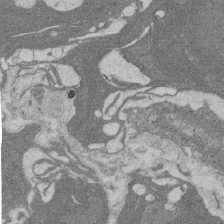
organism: Rat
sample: Salivary granule